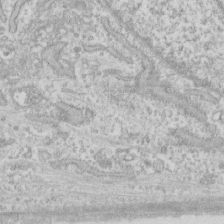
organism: Human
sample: Fibroblast cells